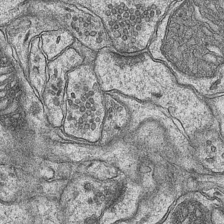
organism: Mouse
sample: CA1 Hippocampus